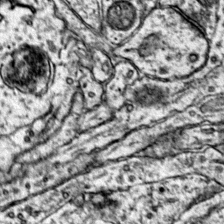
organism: Mouse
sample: Primary visual cortex